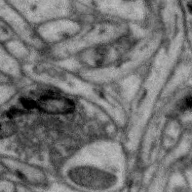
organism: Zebra finch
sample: Brain